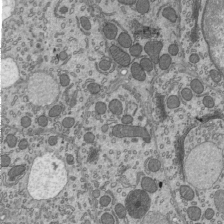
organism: Mouse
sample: Mouse epididymis efferent ductule cilia